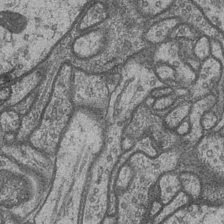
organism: Drosophila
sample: Optic medulla